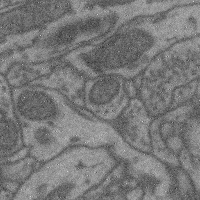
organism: Mouse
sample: Cerebral cortex